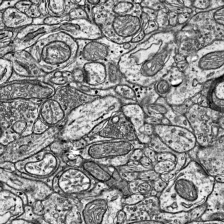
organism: Mouse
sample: Visual Cortex